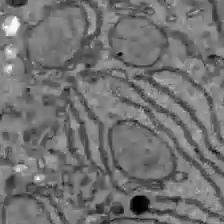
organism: C57BL Mouse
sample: Liver